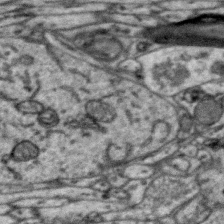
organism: Zebra finch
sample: Brain